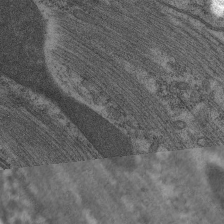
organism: C. elegans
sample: Pharynx